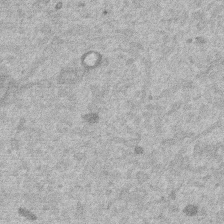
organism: Mouse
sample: Dividing mouse embryo 1 cell stage